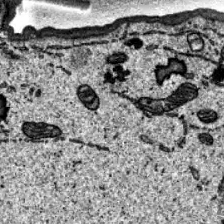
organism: Human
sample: HeLa cells